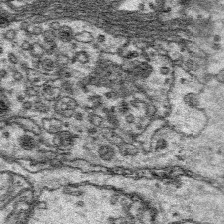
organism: Platynereis dumerilii